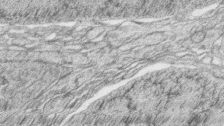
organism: Zebrafish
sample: synaptic ribbons in rod cells and cone cells